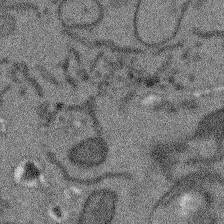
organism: Arabidopsis thaliana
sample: Root tip